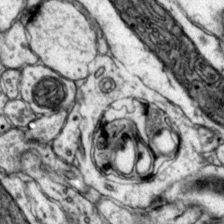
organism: Mouse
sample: Primary visual cortex